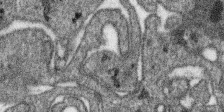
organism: Human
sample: Lung epithelial cells infected with SARS-CoV-2